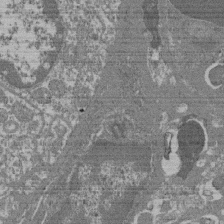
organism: Mouse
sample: Glomerulus